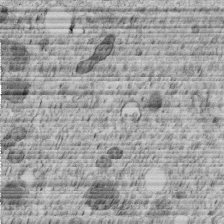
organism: C. elegans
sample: C. elegans embryo early stage